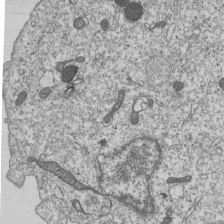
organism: Human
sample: MDA-MB-231 cells